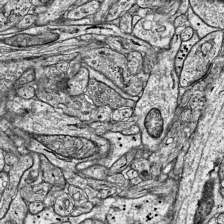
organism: Mouse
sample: Visual Cortex